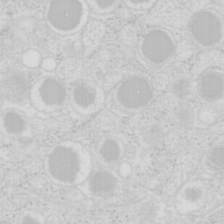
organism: Mouse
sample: Pancreas